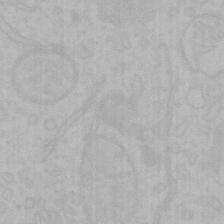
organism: Mouse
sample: Choroid plexus